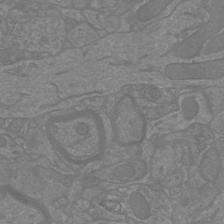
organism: Mouse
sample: Cortical neurons